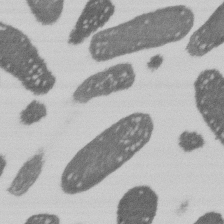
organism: E. coli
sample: Bacterial nucleoid